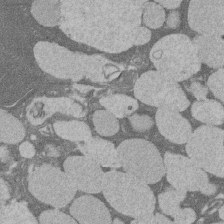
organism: Rat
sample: Salivary granule